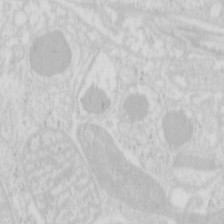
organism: Mouse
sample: Pancreas